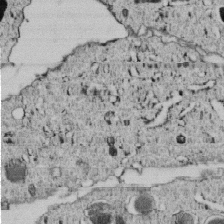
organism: C. elegans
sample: C. elegans embryo early stage